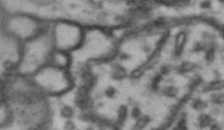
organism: Drosophila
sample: Brain